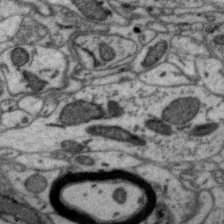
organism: Zebra finch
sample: Brain